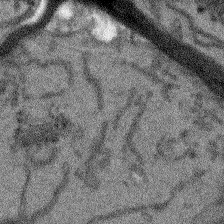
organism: Arabidopsis thaliana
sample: Root tip